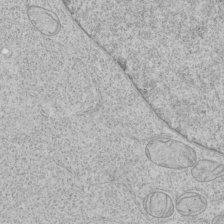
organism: Human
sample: Mitochondria in HCT116 cells